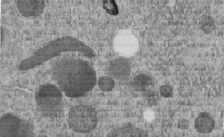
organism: C. elegans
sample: C. elegans embryo early stage